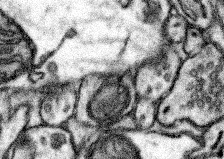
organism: Mouse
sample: Somatosensory cortex neuropil